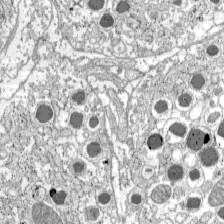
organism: C57BL Mouse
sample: Pancreatic islet